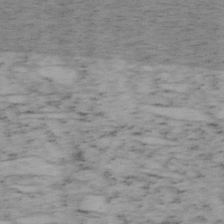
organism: Mouse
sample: OT-I killer T cells with ID8 ovarian cancer cells